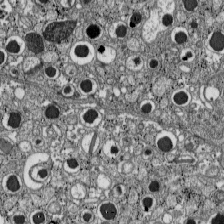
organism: C57BL Mouse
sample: Pancreatic islet